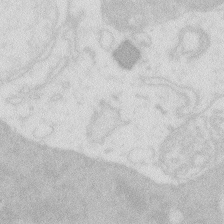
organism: Zebrafish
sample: Macrophage